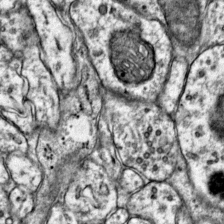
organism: Mouse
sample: Primary visual cortex